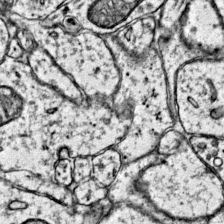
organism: Mouse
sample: Primary visual cortex